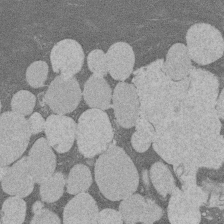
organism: Rat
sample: Salivary granule